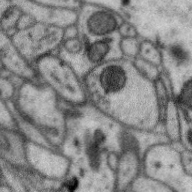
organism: Zebra finch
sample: Brain